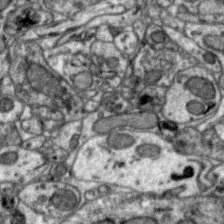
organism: Zebra finch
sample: Brain